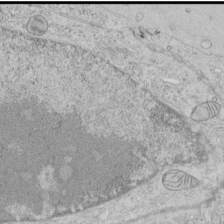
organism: Human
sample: Mitochondria in HCT116 cells